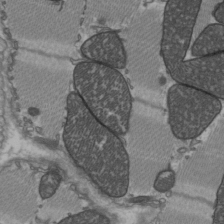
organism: C57BL Mouse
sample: Heart